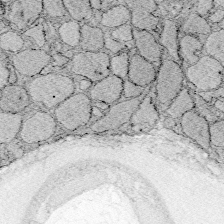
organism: Zebrafish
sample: Whole-Brain